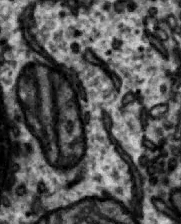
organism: Human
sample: HeLa cells